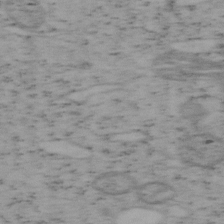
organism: Mouse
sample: OT-I killer T cells with ID8 ovarian cancer cells